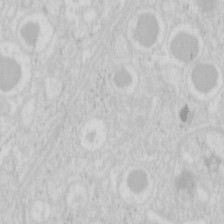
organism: Mouse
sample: Pancreas